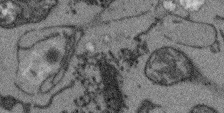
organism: Arabidopsis thaliana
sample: Root tip